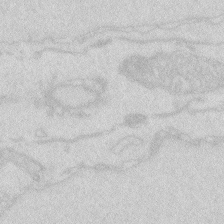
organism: Zebrafish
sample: Macrophage